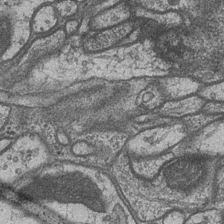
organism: Drosophila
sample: Optic medulla